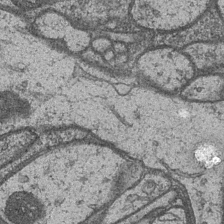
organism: Drosophila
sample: Optic medulla